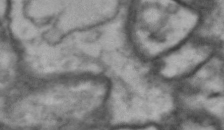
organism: Drosophila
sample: Brain